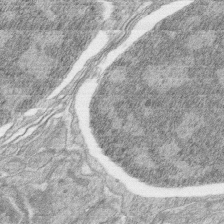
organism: Zebrafish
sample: synaptic ribbons in rod cells and cone cells